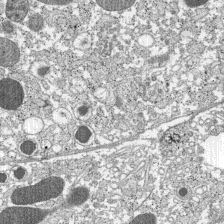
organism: C57BL Mouse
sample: Pancreatic islet